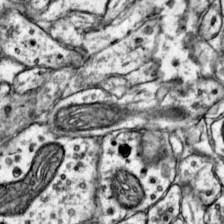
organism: Mouse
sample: Primary visual cortex